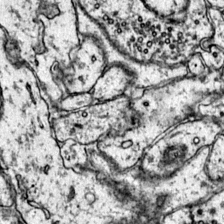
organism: Mouse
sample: Primary visual cortex